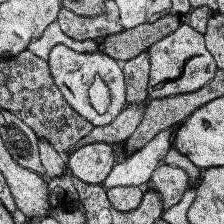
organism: Human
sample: Temporal Lobe